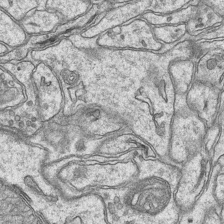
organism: Mouse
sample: CA1 Hippocampus